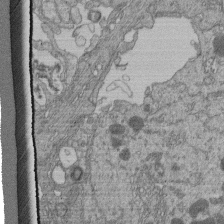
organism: Human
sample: Retinal organoid Rod and Cone cells